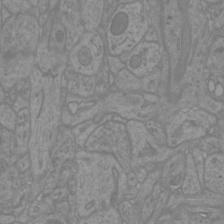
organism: Mouse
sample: Cortical neurons